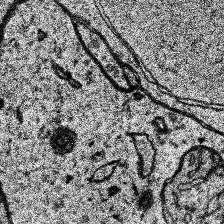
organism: Human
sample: Temporal Lobe